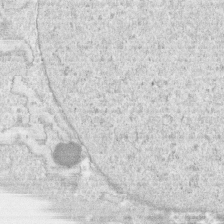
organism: Human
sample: CRL-1474